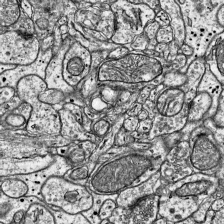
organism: Mouse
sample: Visual Cortex